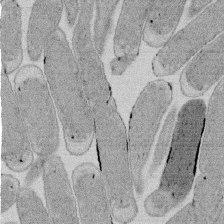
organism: E. coli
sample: Bacterial nucleoid